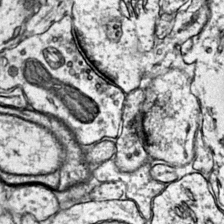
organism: Mouse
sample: Primary visual cortex